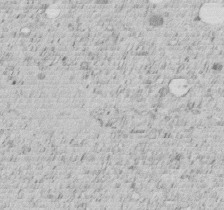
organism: C. elegans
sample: C. elegans embryo early stage